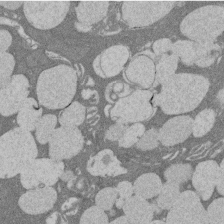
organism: Rat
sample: Salivary granule